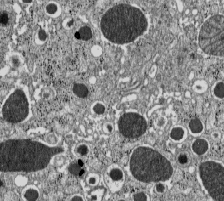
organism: C57BL Mouse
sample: Pancreatic islet